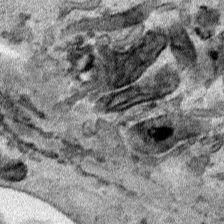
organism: Human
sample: Mitochondria in HCT116 cells